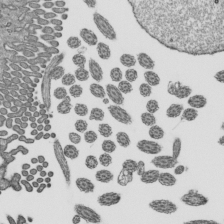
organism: Mouse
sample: Mouse epididymis efferent ductule cilia